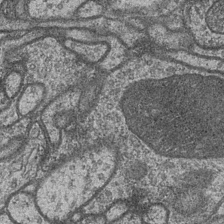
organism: Drosophila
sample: Optic medulla